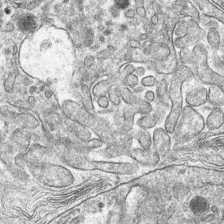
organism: Mouse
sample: Mouse hepatocytes